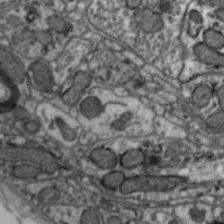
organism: Zebra finch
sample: Brain